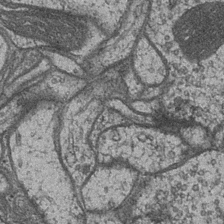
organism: Drosophila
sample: Optic medulla